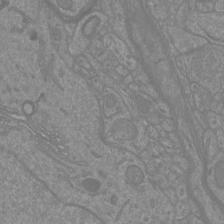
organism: Mouse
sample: Cortical neurons